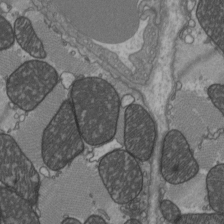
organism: C57BL Mouse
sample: Heart